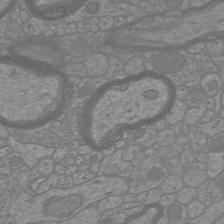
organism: Mouse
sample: Cortical neurons